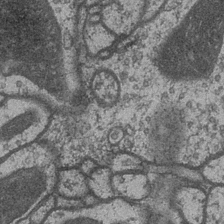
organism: Drosophila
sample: Optic medulla